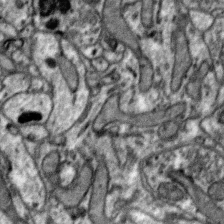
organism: Zebra finch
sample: Brain